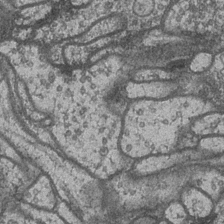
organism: Drosophila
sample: Optic medulla